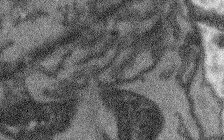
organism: Arabidopsis thaliana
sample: Root tip